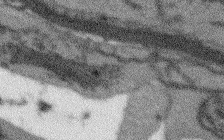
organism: Arabidopsis thaliana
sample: Root tip